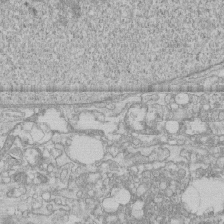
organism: Human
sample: CRL-1474